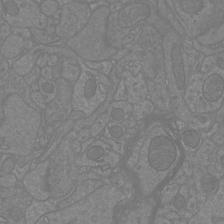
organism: Mouse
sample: Cortical neurons